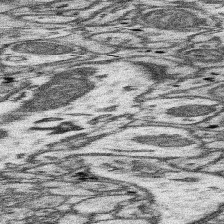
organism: Mouse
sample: Somatosensory cortex neuropil